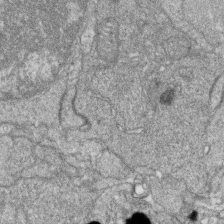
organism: Zebrafish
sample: Cilia; retinal pigment epithelium